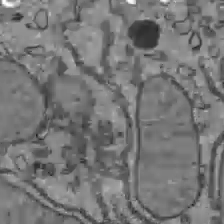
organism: C57BL Mouse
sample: Liver